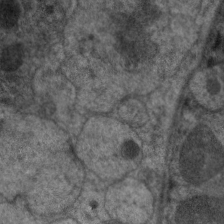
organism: C. elegans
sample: Pharynx